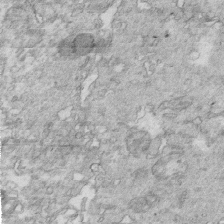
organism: Mouse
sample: Multiciliated cells